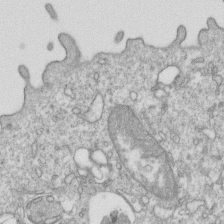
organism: Mouse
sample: Activated OT-1 CD8+ T cells